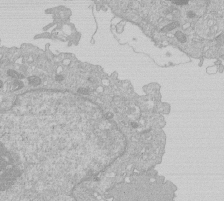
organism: Human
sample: Macrophage cells